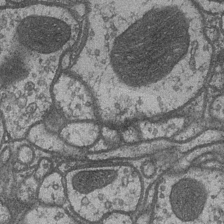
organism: Drosophila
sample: Optic medulla